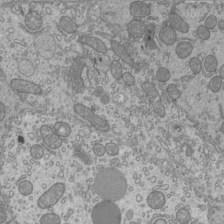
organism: Mouse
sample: Cilia; mouse epididymis